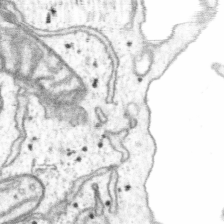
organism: Human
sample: HeLa cells